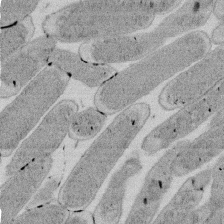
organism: E. coli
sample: Bacterial nucleoid